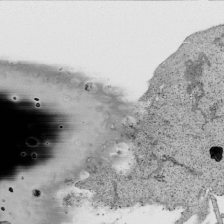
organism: Human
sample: Mitochondria in HCT116 cells